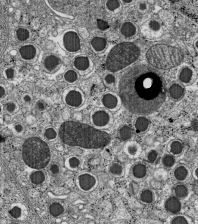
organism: C57BL Mouse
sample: Pancreatic islet